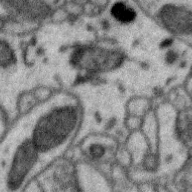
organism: Zebra finch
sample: Brain